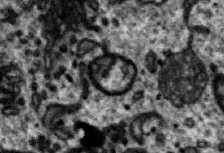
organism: Human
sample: HeLa cells